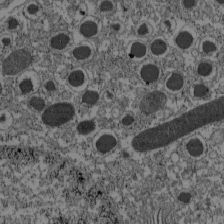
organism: C57BL Mouse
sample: Pancreatic islet